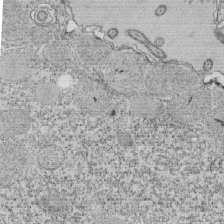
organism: Tetrahymena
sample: Cilia in tetrahymena